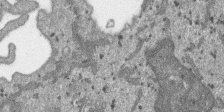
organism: Human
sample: Lung epithelial cells infected with SARS-CoV-2